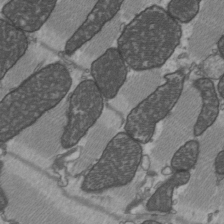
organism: C57BL Mouse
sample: Heart